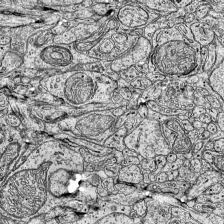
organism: Mouse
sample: Visual Cortex